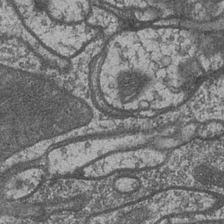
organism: Drosophila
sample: Optic medulla